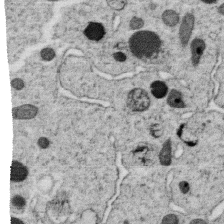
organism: C. elegans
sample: C. elegans oocyte; sperm cells